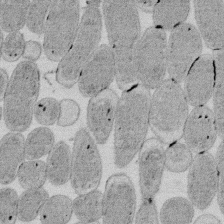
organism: E. coli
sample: Bacterial nucleoid